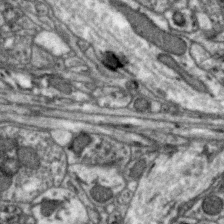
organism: Zebra finch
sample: Brain